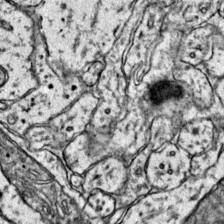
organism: Mouse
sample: Primary visual cortex